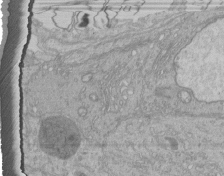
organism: Human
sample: Retinal organoid Rod and Cone cells